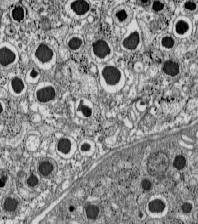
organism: C57BL Mouse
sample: Pancreatic islet